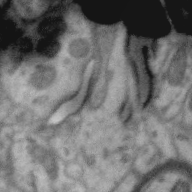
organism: Zebra finch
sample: Brain